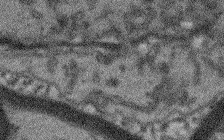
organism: Arabidopsis thaliana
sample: Root tip